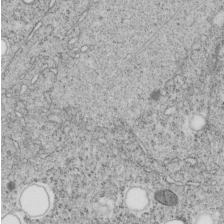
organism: C. elegans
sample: C. elegans embryo early stage